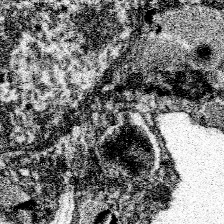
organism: Spongilla lacustris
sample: Neuroid cell